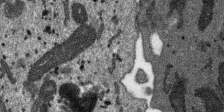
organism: Human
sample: Lung epithelial cells infected with SARS-CoV-2